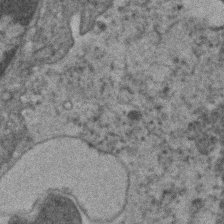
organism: Human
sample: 1205lu cells